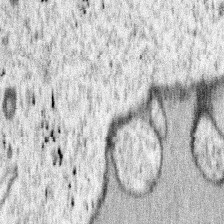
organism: Human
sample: HeLa cells